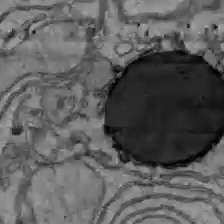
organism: C57BL Mouse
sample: Liver